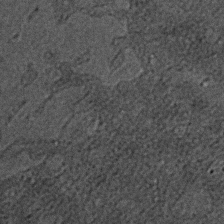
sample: Trachea